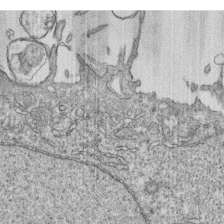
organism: Human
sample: HeLa cell HIV synapse